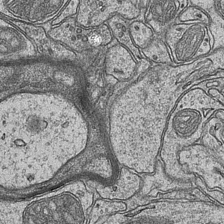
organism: Mouse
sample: CA1 Hippocampus